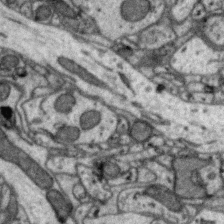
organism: Zebra finch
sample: Brain